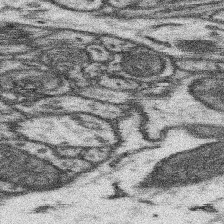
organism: Mouse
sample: Somatosensory cortex neuropil